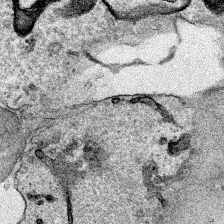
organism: Human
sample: Mitochondria in HCT116 cells